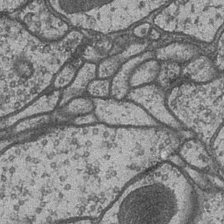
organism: Drosophila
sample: Optic medulla